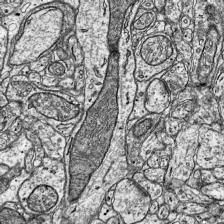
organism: Mouse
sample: Visual Cortex